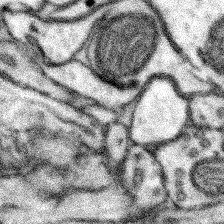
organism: Mouse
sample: Somatosensory cortex neuropil